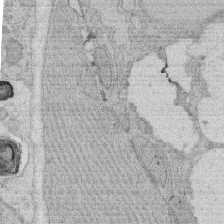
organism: Rat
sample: Salivary granule